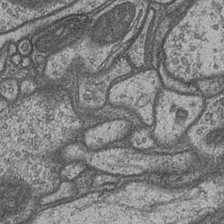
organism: Drosophila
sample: Optic medulla